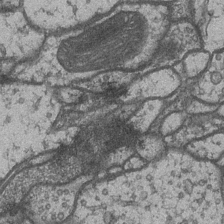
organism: Drosophila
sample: Optic medulla